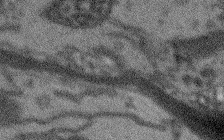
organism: Arabidopsis thaliana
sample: Root tip